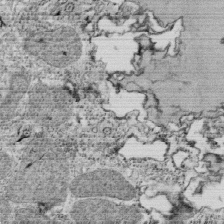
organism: Tetrahymena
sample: Cilia in tetrahymena